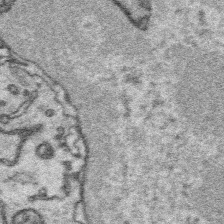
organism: Platynereis dumerilii